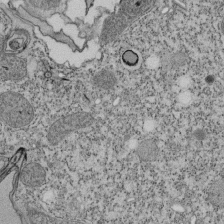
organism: Tetrahymena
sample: Cilia in tetrahymena